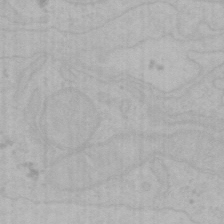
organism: Mouse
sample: Choroid plexus